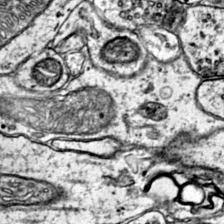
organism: Mouse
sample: Primary visual cortex